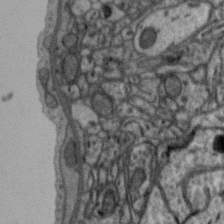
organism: Zebra finch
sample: Brain